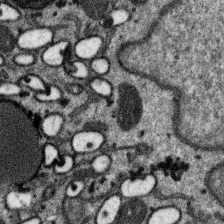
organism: Human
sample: Lung epithelial cells infected with SARS-CoV-2